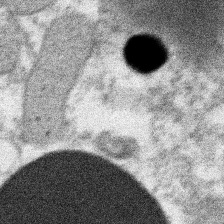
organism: Xenopus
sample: Cilia; centrioles in frog embryo cells